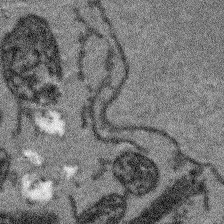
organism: Arabidopsis thaliana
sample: Root tip